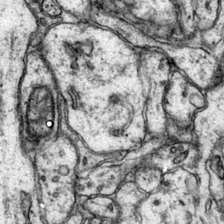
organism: Mouse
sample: Primary visual cortex